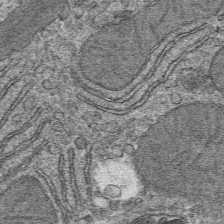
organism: Mouse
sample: Mouse hepatocytes